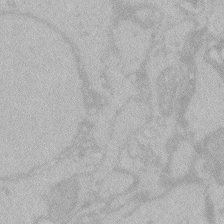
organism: Zebrafish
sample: Macrophage infected with Toxoplasma gondii